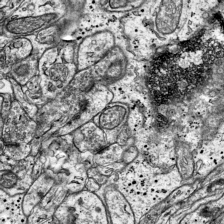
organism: Mouse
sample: Visual Cortex